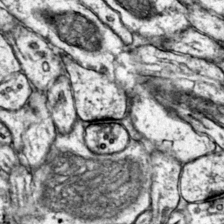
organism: Mouse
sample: Primary visual cortex